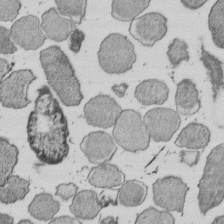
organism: E. coli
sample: Bacterial nucleoid